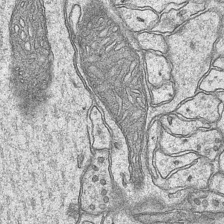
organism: Mouse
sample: CA1 Hippocampus